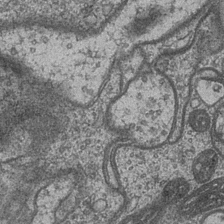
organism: Drosophila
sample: Optic medulla